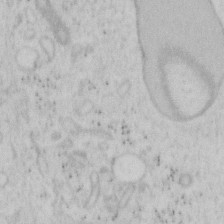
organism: Human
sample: HeLa cells